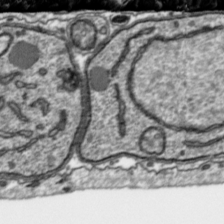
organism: Toxoplasma gondii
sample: Parasites in a vacuole inside a host cell